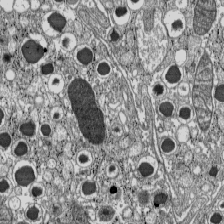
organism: C57BL Mouse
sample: Pancreatic islet